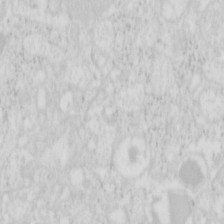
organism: Mouse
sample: Pancreas